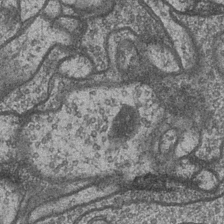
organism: Drosophila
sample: Optic medulla